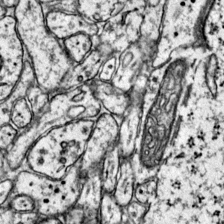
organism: Mouse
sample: Primary visual cortex